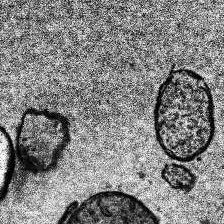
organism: Human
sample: Temporal Lobe